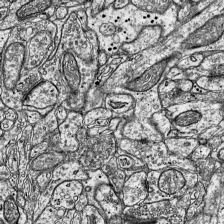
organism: Mouse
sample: Visual Cortex